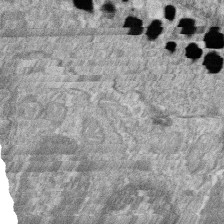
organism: Zebrafish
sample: Cilia; retinal pigment epithelium